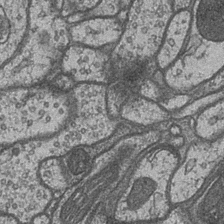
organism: Drosophila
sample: Optic medulla